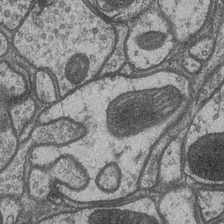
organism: Drosophila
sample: Optic medulla